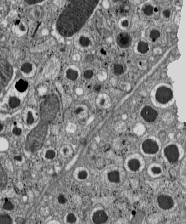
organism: C57BL Mouse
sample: Pancreatic islet